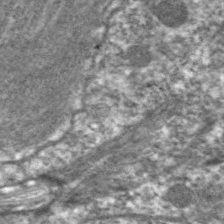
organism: C. elegans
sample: Pharynx